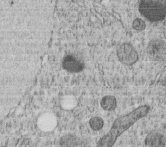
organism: C. elegans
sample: C. elegans embryo early stage